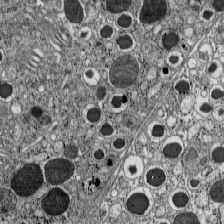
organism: C57BL Mouse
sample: Pancreatic islet